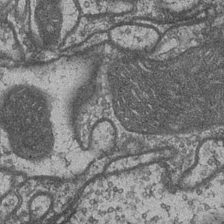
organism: Drosophila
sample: Optic medulla